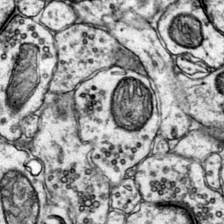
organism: Mouse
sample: Primary visual cortex